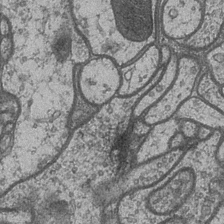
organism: Drosophila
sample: Optic medulla